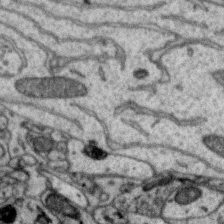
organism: Zebra finch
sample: Brain